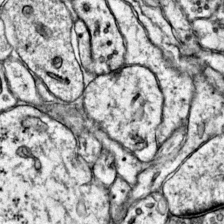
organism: Mouse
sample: Primary visual cortex